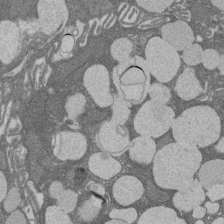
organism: Rat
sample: Salivary granule